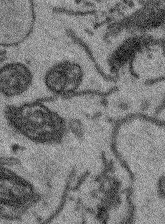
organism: Arabidopsis thaliana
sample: Root tip